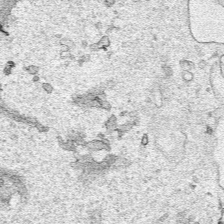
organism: Human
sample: Mitochondria in HCT116 cells